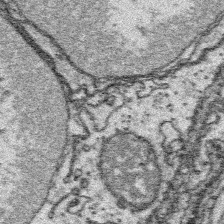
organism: Platynereis dumerilii